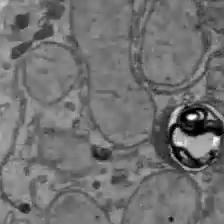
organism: C57BL Mouse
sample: Liver